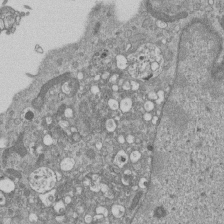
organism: Mouse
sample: ED-1 cell nuclei; centrioles